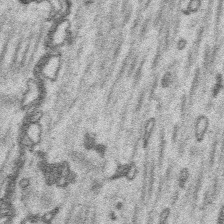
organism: Platynereis dumerilii